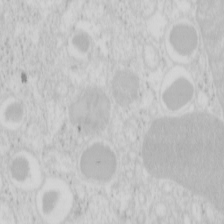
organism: Mouse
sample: Pancreas